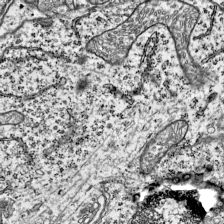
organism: Mouse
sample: Visual Cortex